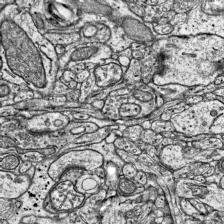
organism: Mouse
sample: Visual Cortex